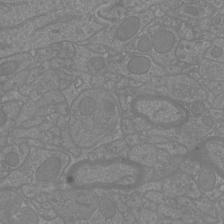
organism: Mouse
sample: Cortical neurons